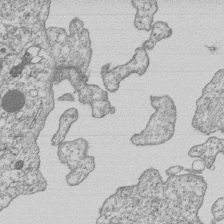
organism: Human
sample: MDA-MB-231 cells